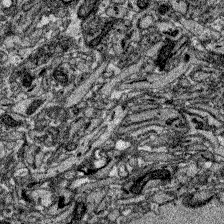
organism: Zebrafish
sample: Larval olfactory bulb